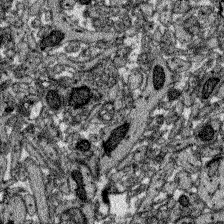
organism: Zebrafish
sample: Larval olfactory bulb